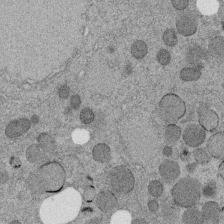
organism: C. elegans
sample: C. elegans embryo early stage